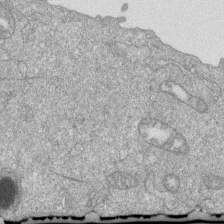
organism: Human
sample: HeLa cell HIV synapse